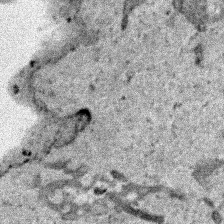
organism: Human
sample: Mitochondria in HCT116 cells